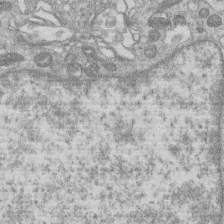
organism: Human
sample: Macrophage cells